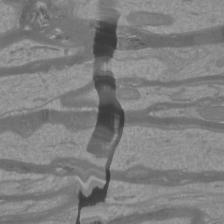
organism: Mouse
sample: Cortical neurons